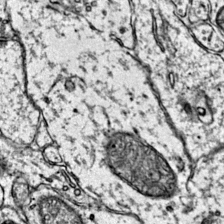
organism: Mouse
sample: Primary visual cortex